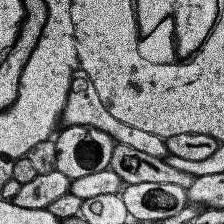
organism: Human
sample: Temporal Lobe